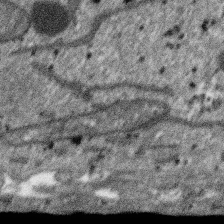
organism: Human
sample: Lung epithelial cells infected with SARS-CoV-2